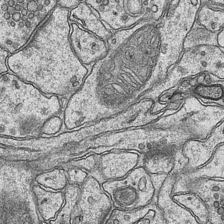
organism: Mouse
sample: CA1 Hippocampus